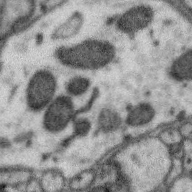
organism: Zebra finch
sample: Brain